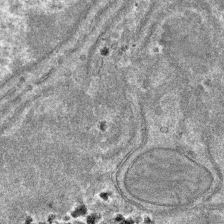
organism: Mouse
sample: Mouse hepatocytes